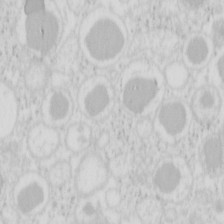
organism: Mouse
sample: Pancreas